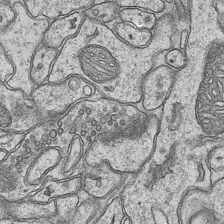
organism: Mouse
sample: CA1 Hippocampus